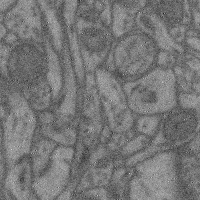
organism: Mouse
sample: Cerebral cortex